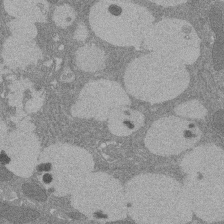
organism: Rat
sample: Salivary granule